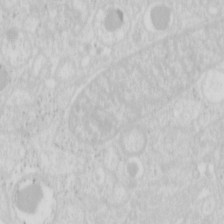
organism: Mouse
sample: Pancreas